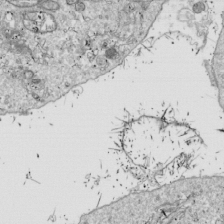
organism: Drosophila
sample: Cell division; meiosis; drosophila spermatocytes